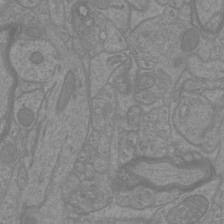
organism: Mouse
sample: Cortical neurons